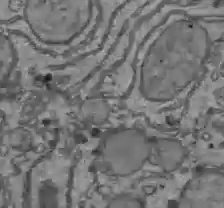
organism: C57BL Mouse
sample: Liver